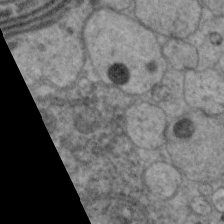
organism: C. elegans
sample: Pharynx